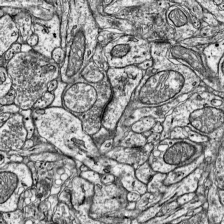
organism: Mouse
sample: Visual Cortex